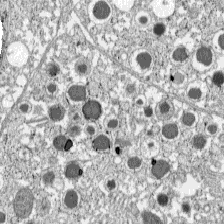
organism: C57BL Mouse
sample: Pancreatic islet